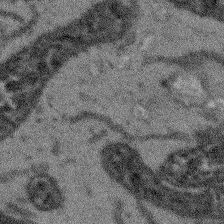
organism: Arabidopsis thaliana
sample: Root tip